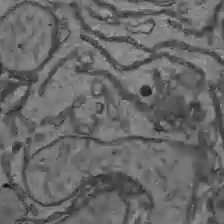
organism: C57BL Mouse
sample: Liver